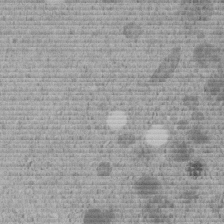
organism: C. elegans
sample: C. elegans embryo early stage